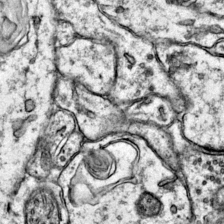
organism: Mouse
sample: Primary visual cortex